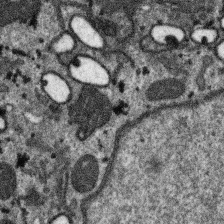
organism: Human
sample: Lung epithelial cells infected with SARS-CoV-2